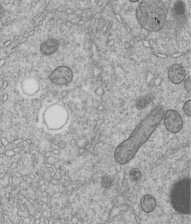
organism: C. elegans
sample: C. elegans embryo early stage